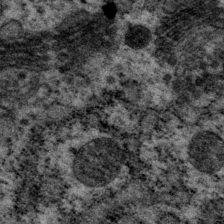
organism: P. pacificus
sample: Pharynx